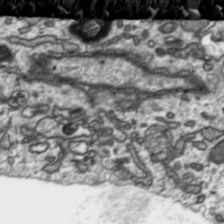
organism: Toxoplasma gondii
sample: Parasites in a vacuole inside a host cell